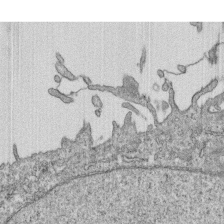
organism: Human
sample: HeLa cell HIV synapse